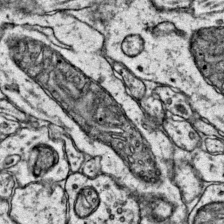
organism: Mouse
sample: Primary visual cortex